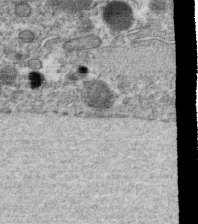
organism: C. elegans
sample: C. elegans oocyte; sperm cells